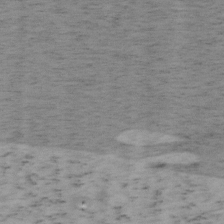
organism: Mouse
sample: OT-I killer T cells with ID8 ovarian cancer cells